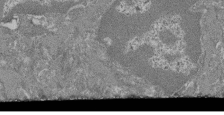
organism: Mouse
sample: Glomerulus